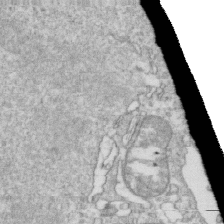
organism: Mouse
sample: Activated OT-1 CD8+ T cells